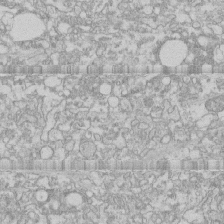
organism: Human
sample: CRL-1474